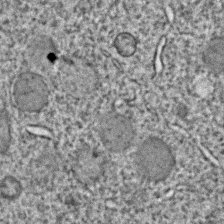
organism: C. elegans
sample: C. elegans embryo